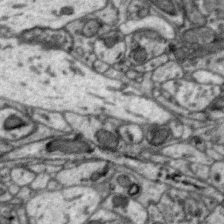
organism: Zebra finch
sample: Brain